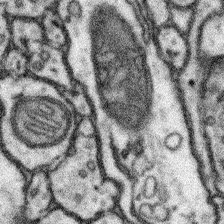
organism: Mouse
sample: Somatosensory cortex neuropil